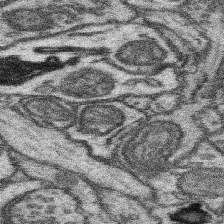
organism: Mouse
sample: Somatosensory cortex neuropil